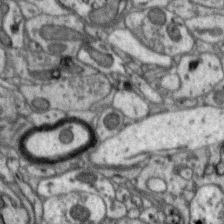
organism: Zebra finch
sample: Brain